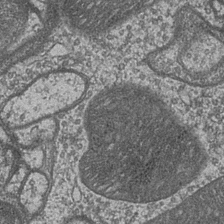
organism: Drosophila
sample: Optic medulla